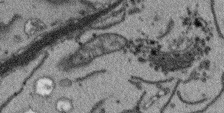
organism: Arabidopsis thaliana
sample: Root tip